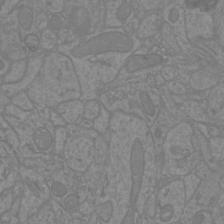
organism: Mouse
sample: Cortical neurons